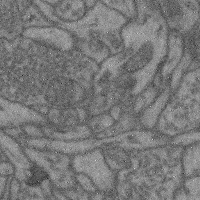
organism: Mouse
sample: Cerebral cortex